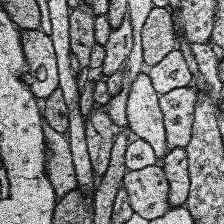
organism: Human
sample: Temporal Lobe